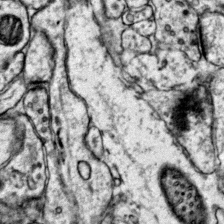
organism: Mouse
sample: Primary visual cortex